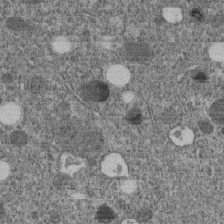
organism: C. elegans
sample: C. elegans embryo early stage